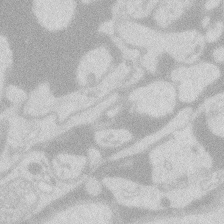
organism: Zebrafish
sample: Macrophage